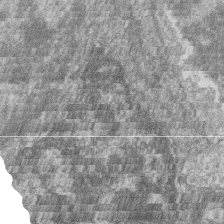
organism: Zebrafish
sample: Cilia; retinal pigment epithelium